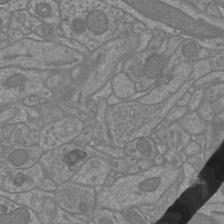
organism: Mouse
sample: Cortical neurons